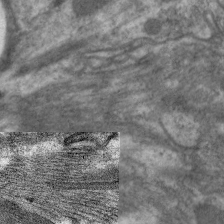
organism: C. elegans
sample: Pharynx